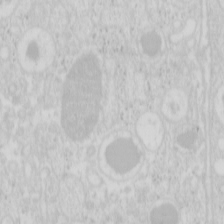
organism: Mouse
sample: Pancreas